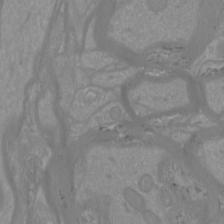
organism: Mouse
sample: Cortical neurons